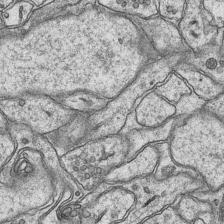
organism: Mouse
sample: CA1 Hippocampus